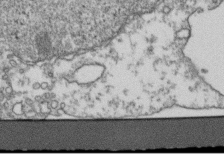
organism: Human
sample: Activated Jurkat CD4+ T cells